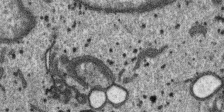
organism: Human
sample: Lung epithelial cells infected with SARS-CoV-2